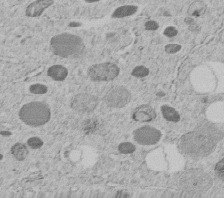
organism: C. elegans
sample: C. elegans embryo early stage